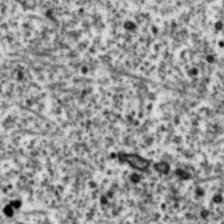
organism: Human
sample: HeLa cells